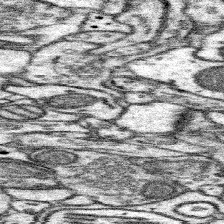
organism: Mouse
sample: Somatosensory cortex neuropil